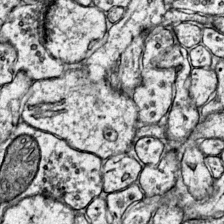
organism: Mouse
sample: Primary visual cortex